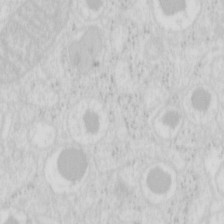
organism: Mouse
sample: Pancreas